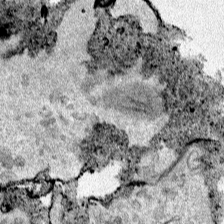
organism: Human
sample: Mitochondria in HCT116 cells